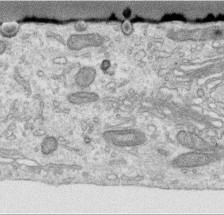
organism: Human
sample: Centriole in RPE cells